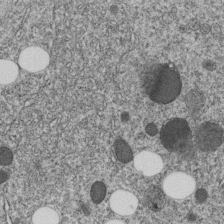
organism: C. elegans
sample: C. elegans embryo early stage